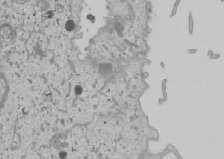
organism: Human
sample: Mitochondria in U2OS cells